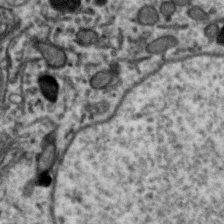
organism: Zebra finch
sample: Brain